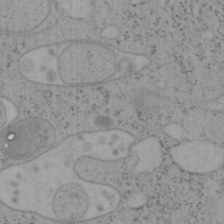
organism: Mouse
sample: OT-I killer T cells with ID8 ovarian cancer cells